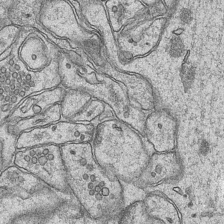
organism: Mouse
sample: CA1 Hippocampus